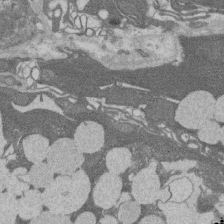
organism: Rat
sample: Salivary granule